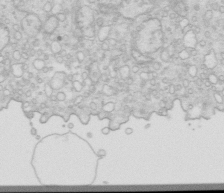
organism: Mouse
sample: Multiciliated cells